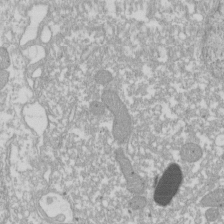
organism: Xenopus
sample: Cilia; centrioles in frog embryo cells